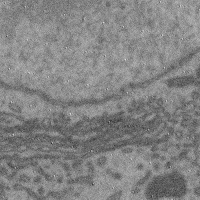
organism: Mouse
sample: Cerebral cortex